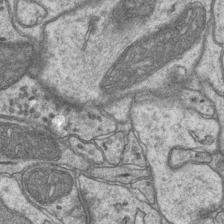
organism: Mouse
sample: CA1 Hippocampus